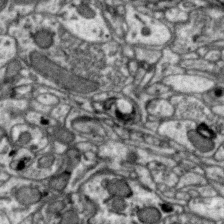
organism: Zebra finch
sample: Brain